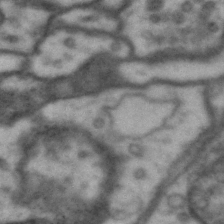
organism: Drosophila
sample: Brain